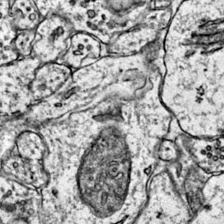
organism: Mouse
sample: Primary visual cortex